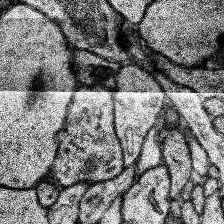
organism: Human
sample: Temporal Lobe